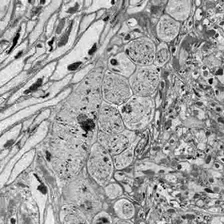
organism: Drosophila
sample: Optic lobe